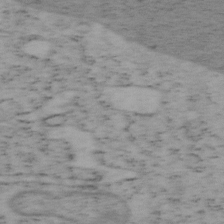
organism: Mouse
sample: OT-I killer T cells with ID8 ovarian cancer cells